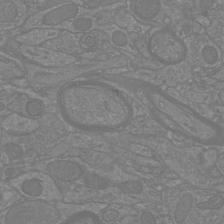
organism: Mouse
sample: Cortical neurons